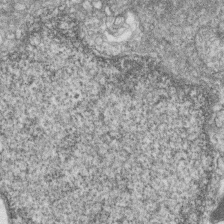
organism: Zebrafish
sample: Cilia; retinal pigment epithelium